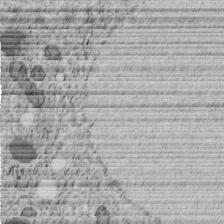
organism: C. elegans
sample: C. elegans embryo early stage